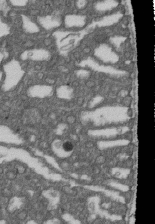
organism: Drosophila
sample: Nephrocyte